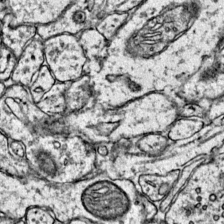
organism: Mouse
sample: Primary visual cortex